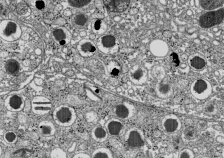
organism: C57BL Mouse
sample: Pancreatic islet